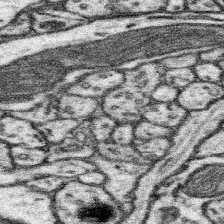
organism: Mouse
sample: Somatosensory cortex neuropil